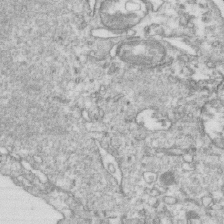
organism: Mouse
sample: Activated OT-1 CD8+ T cells